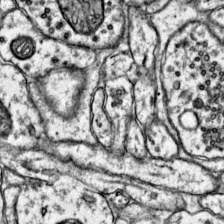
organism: Mouse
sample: Primary visual cortex